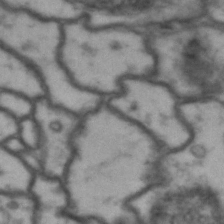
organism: Drosophila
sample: Brain